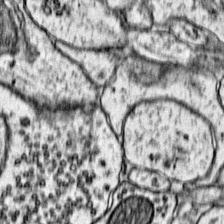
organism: Mouse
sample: Primary visual cortex